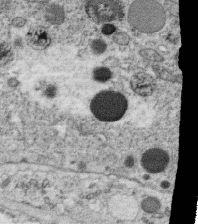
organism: C. elegans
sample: C. elegans oocyte; sperm cells